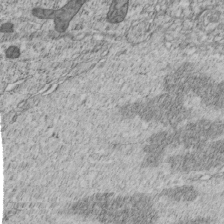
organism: C. elegans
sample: C. elegans embryo early stage